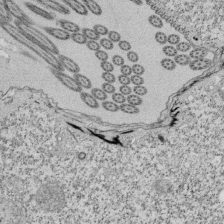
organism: Tetrahymena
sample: Cilia in tetrahymena